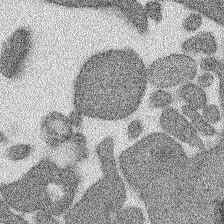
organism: Human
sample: HeLa cells